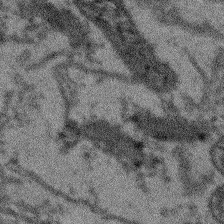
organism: Arabidopsis thaliana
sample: Root tip